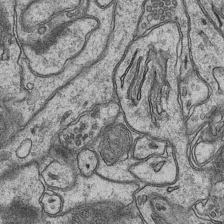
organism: Mouse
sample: CA1 Hippocampus